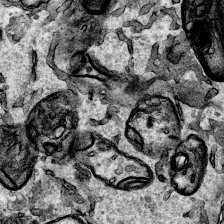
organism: Human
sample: Mitochondria in HCT116 cells